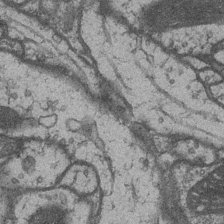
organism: Drosophila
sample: Optic medulla